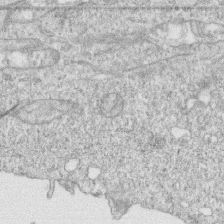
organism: Human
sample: HeLa cell HIV synapse